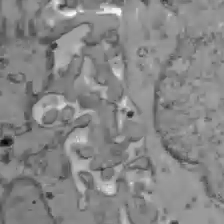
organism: C57BL Mouse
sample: Liver